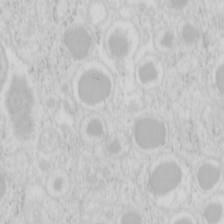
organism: Mouse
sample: Pancreas